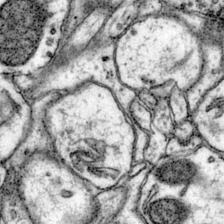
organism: Mouse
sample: Primary visual cortex